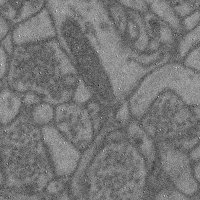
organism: Mouse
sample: Cerebral cortex